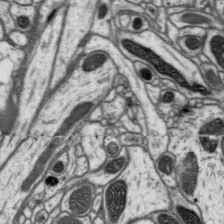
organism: Drosophila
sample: Protocerebral bridge